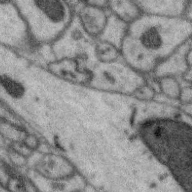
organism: Zebra finch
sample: Brain